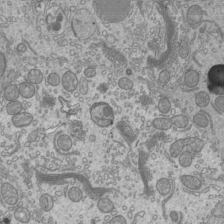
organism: Mouse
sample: Cilia; mouse epididymis